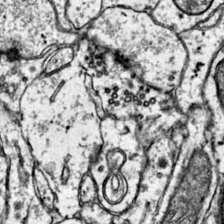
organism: Mouse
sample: Primary visual cortex